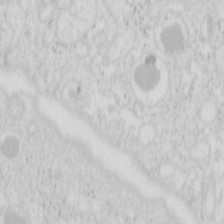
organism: Mouse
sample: Pancreas